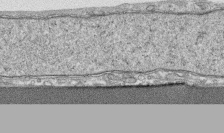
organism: Human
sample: CRL-1474